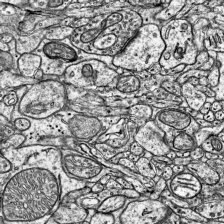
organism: Mouse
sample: Visual Cortex